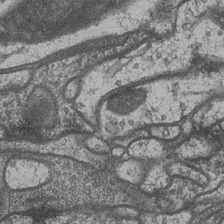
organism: Drosophila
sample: Optic medulla